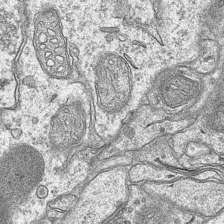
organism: Mouse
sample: CA1 Hippocampus